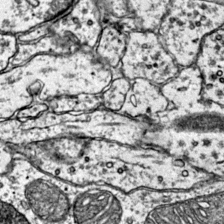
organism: Mouse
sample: Primary visual cortex